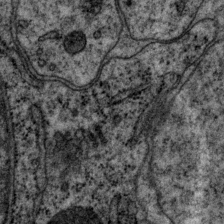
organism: P. pacificus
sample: Pharynx